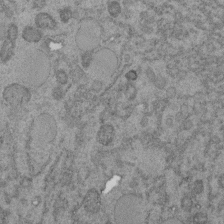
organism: C. elegans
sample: C. elegans embryo early stage